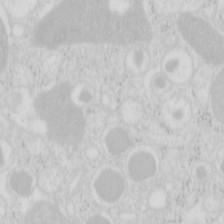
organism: Mouse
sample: Pancreas